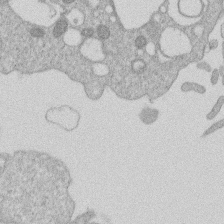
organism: Human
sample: Macrophage cells